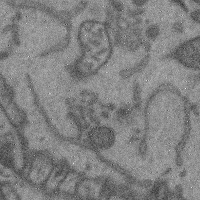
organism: Mouse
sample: Cerebral cortex